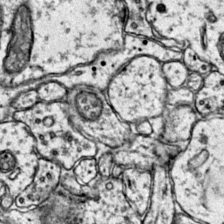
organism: Mouse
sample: Primary visual cortex